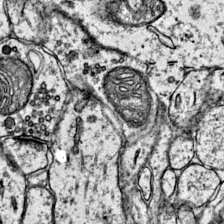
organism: Mouse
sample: Primary visual cortex